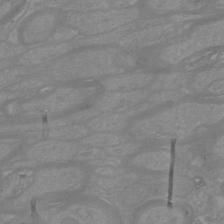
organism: Mouse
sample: Cortical neurons